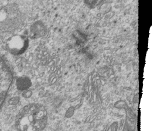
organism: Human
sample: MDA-MB-231 cells